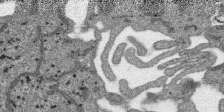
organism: Human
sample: Lung epithelial cells infected with SARS-CoV-2